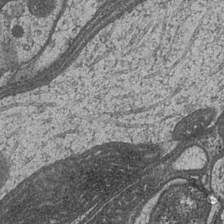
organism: Drosophila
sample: Optic medulla